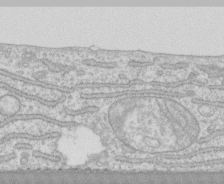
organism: Human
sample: CRL-1474